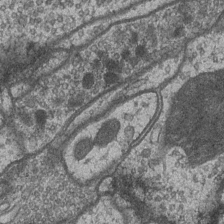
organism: Drosophila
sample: Optic medulla